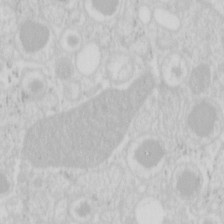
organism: Mouse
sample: Pancreas